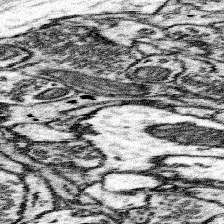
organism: Mouse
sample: Somatosensory cortex neuropil